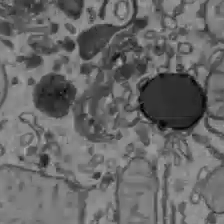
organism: C57BL Mouse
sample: Liver